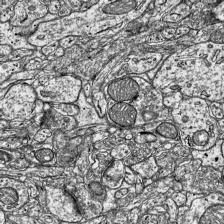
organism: Mouse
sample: Visual Cortex